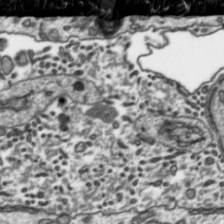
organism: Toxoplasma gondii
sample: Parasites in a vacuole inside a host cell